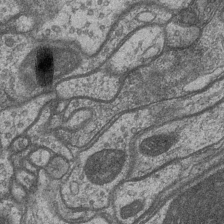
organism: Drosophila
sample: Optic medulla